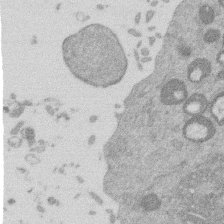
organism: Mouse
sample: Dividing mouse embryo 1 cell stage